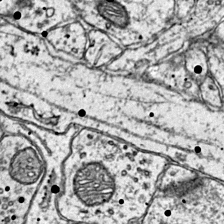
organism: Mouse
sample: Primary visual cortex